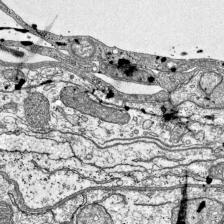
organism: Mouse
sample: Visual Cortex